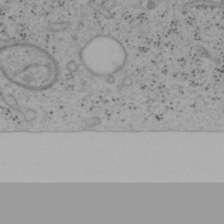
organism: Human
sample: HeLa cells